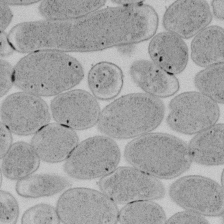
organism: E. coli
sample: Bacterial nucleoid